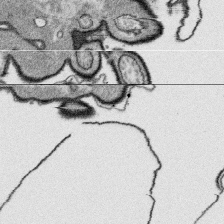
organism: Platynereis dumerilii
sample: Parapodia